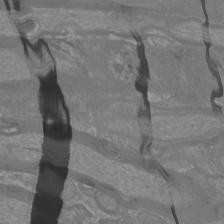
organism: Mouse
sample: Cortical neurons